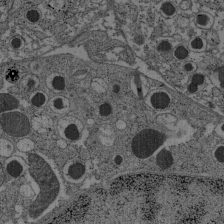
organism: C57BL Mouse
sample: Pancreatic islet